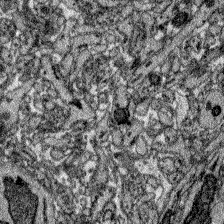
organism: Zebrafish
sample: Larval olfactory bulb